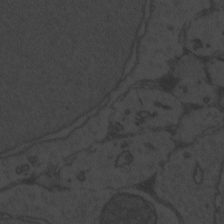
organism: Zebrafish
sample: Macrophage infected with Toxoplasma gondii